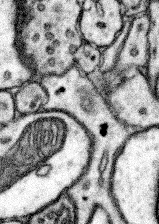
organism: Mouse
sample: Somatosensory cortex neuropil